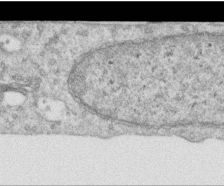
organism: Human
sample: Centriole in RPE cells